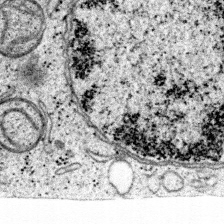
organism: Human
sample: HeLa cells